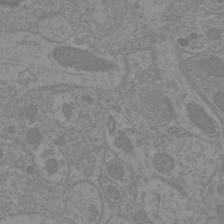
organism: Mouse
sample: Cortical neurons